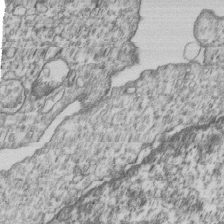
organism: Human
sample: MDA-MB-231 cells